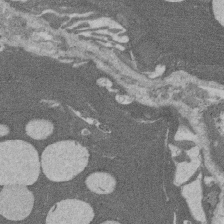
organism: Rat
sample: Salivary granule